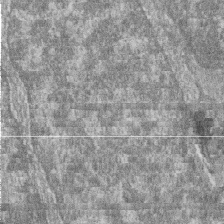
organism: Zebrafish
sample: Cilia; retinal pigment epithelium